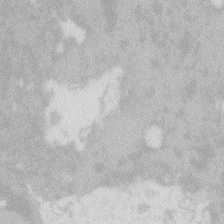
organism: Zebrafish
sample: Macrophage